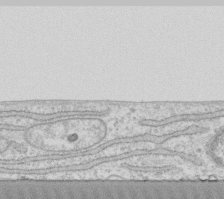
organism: Human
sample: Fibroblast cells